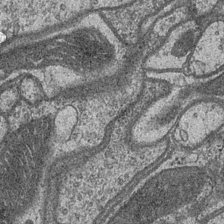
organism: Drosophila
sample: Optic medulla